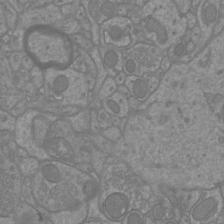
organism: Mouse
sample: Cortical neurons